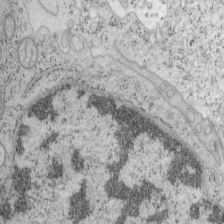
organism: Mouse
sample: OT-I killer T cells with ID8 ovarian cancer cells